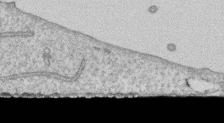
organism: Human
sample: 1205lu cells